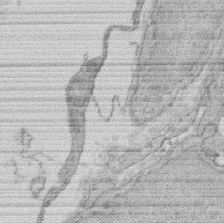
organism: Rat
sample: Salivary granule